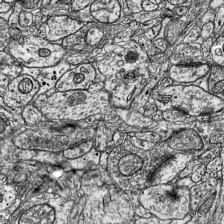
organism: Mouse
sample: Visual Cortex